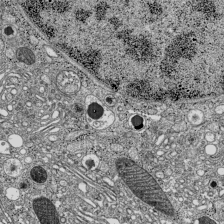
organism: C57BL Mouse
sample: Pancreatic islet